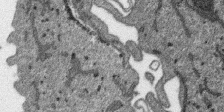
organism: Human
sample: Lung epithelial cells infected with SARS-CoV-2